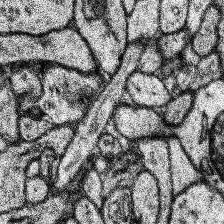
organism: Human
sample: Temporal Lobe